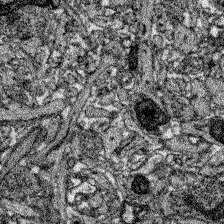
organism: Zebrafish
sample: Larval olfactory bulb